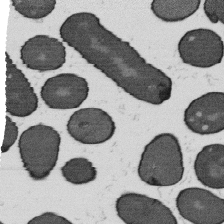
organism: B. subtilis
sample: Bacterial spore